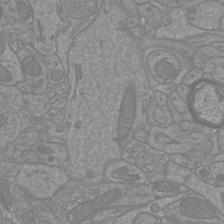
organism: Mouse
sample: Cortical neurons